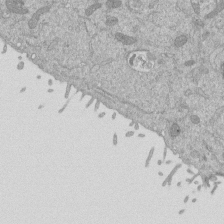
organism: Mouse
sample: ED-1 cell nuclei; centrioles